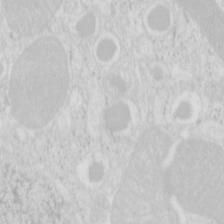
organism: Mouse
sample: Pancreas